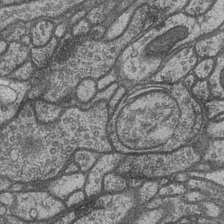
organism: Drosophila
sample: Optic medulla